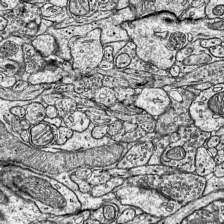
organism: Mouse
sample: Visual Cortex